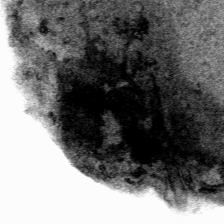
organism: Human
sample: Mitochondria in HCT116 cells